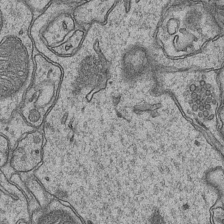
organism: Mouse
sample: CA1 Hippocampus